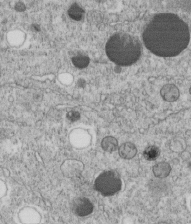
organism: C. elegans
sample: C. elegans embryo early stage